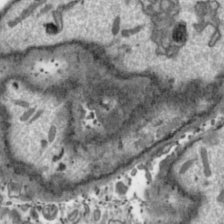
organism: Toxoplasma gondii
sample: Parasites in a vacuole inside a host cell